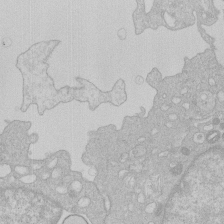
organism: Human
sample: Macrophage cells